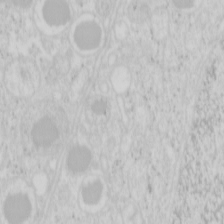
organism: Mouse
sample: Pancreas